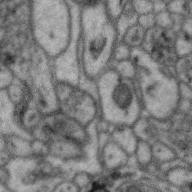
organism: Zebra finch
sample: Brain